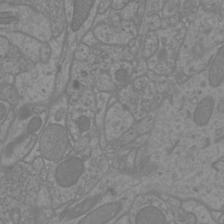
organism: Mouse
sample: Cortical neurons